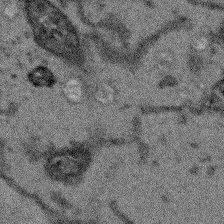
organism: Arabidopsis thaliana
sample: Root tip